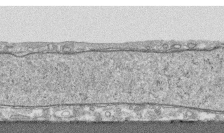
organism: Human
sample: CRL-1474